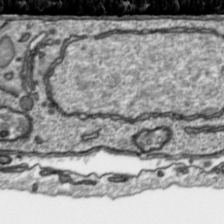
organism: Toxoplasma gondii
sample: Parasites in a vacuole inside a host cell